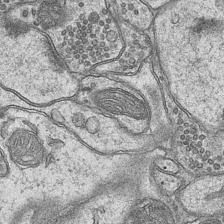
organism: Mouse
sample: CA1 Hippocampus